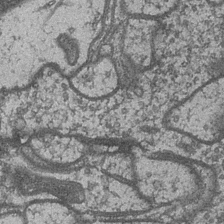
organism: Drosophila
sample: Optic medulla